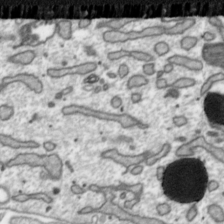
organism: Toxoplasma gondii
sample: Parasites in a vacuole inside a host cell